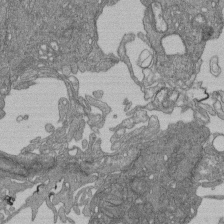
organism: Human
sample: Retinal organoid Rod and Cone cells